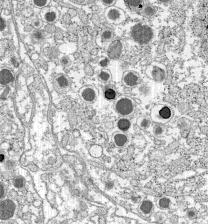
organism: C57BL Mouse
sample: Pancreatic islet